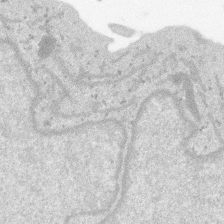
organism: Human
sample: Lung epithelial cells infected with SARS-CoV-2